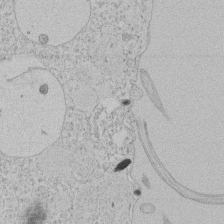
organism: Tetrahymena